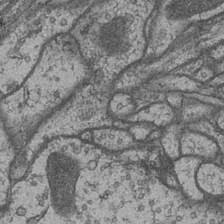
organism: Drosophila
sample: Optic medulla